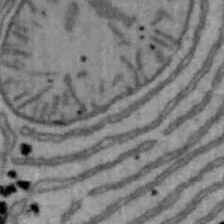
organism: Mouse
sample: Liver